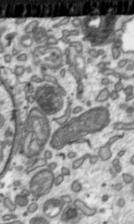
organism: Toxoplasma gondii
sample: Parasites in a vacuole inside a host cell